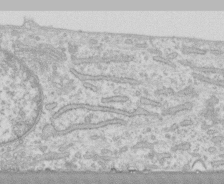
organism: Human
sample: CRL-1474